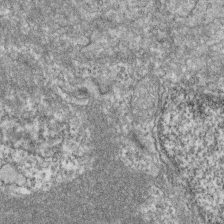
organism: Zebrafish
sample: Cilia; retinal pigment epithelium